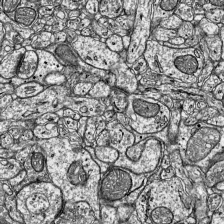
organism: Mouse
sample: Visual Cortex